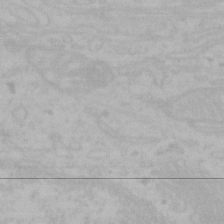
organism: Mouse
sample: Choroid plexus